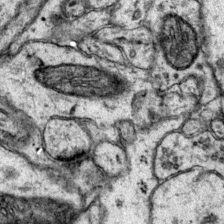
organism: Mouse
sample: Primary visual cortex